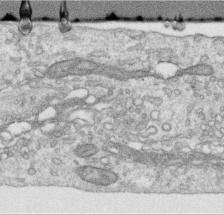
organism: Human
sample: Centriole in RPE cells